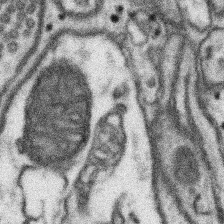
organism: Mouse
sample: Somatosensory cortex neuropil